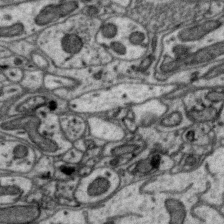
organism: Zebra finch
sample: Brain